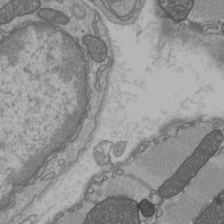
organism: C57BL Mouse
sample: Heart